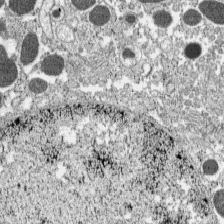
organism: C57BL Mouse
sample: Pancreatic islet